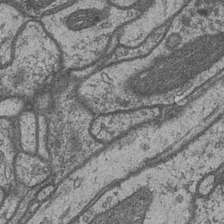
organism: Drosophila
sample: Optic medulla